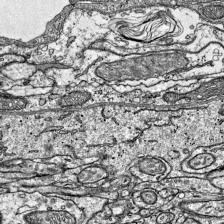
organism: Mouse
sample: Visual Cortex